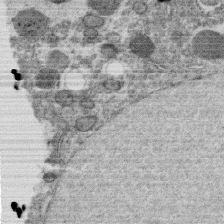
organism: C. elegans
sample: C. elegans oocyte; sperm cells